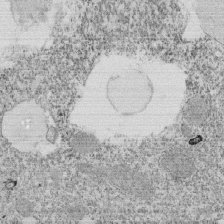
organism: Tetrahymena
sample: Cilia in tetrahymena